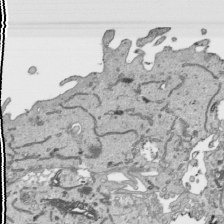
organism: Human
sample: Mitochondria in HCT116 cells